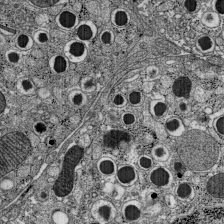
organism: C57BL Mouse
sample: Pancreatic islet